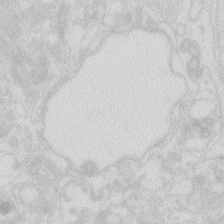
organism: Zebrafish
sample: Macrophage